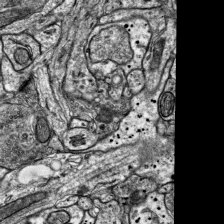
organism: Mouse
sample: Visual Cortex